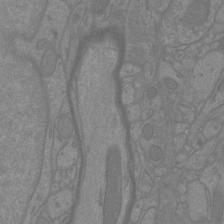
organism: Mouse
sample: Cortical neurons